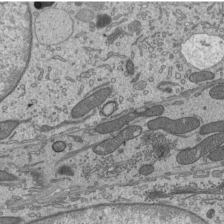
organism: Mouse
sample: Mouse epididymis efferent ductule cilia